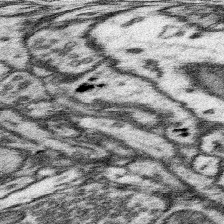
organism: Mouse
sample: Somatosensory cortex neuropil